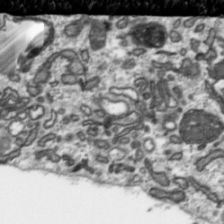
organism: Toxoplasma gondii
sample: Parasites in a vacuole inside a host cell